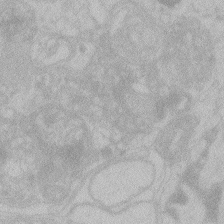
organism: Zebrafish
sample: Macrophage infected with Toxoplasma gondii